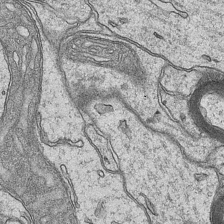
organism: Mouse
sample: CA1 Hippocampus